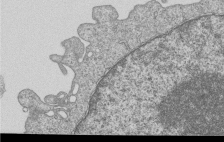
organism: Human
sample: MDA-MB-231 cells